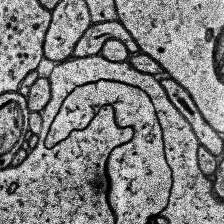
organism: Human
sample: Temporal Lobe